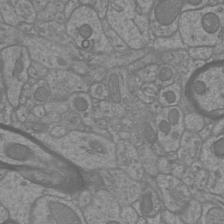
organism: Mouse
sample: Cortical neurons